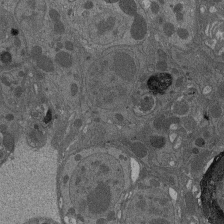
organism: Drosophila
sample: Antenna